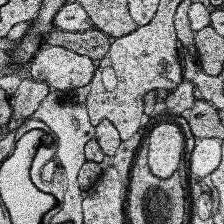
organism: Human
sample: Temporal Lobe